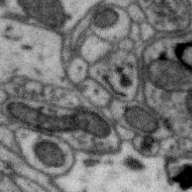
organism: Zebra finch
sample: Brain